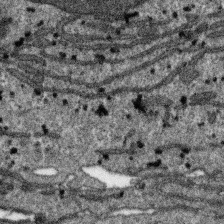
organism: Human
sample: Lung epithelial cells infected with SARS-CoV-2